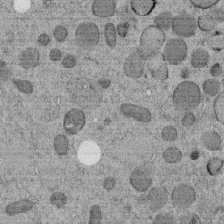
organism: C. elegans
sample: C. elegans embryo early stage